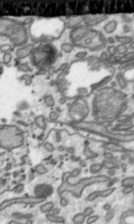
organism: Toxoplasma gondii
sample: Parasites in a vacuole inside a host cell